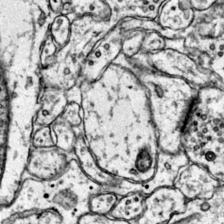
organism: Mouse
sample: Primary visual cortex